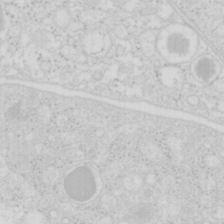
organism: Mouse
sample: Pancreas